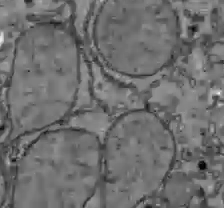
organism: C57BL Mouse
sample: Liver